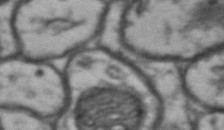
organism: Drosophila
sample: Brain